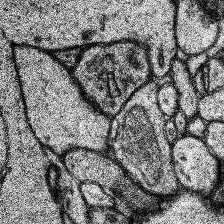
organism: Human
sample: Temporal Lobe